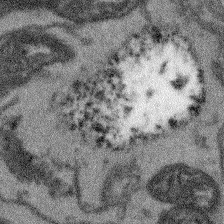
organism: Arabidopsis thaliana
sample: Root tip